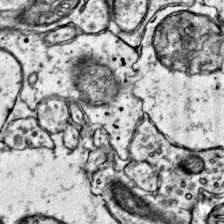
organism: Mouse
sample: Primary visual cortex